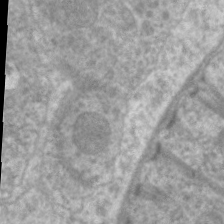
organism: C. elegans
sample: Pharynx